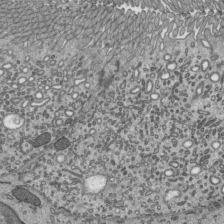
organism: Mouse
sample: Mouse epididymis efferent ductule cilia